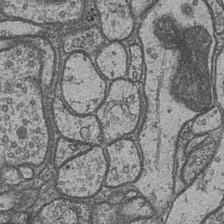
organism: Drosophila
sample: Optic medulla